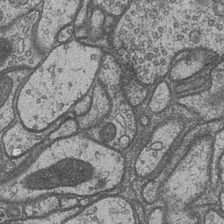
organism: Drosophila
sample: Optic medulla